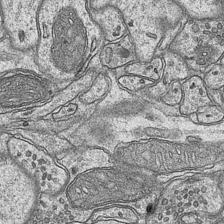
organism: Mouse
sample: CA1 Hippocampus